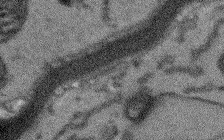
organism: Arabidopsis thaliana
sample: Root tip